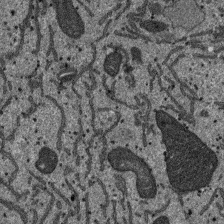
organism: Human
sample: Lung epithelial cells infected with SARS-CoV-2